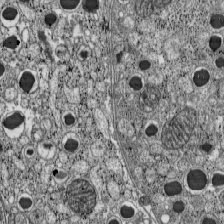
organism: C57BL Mouse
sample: Pancreatic islet